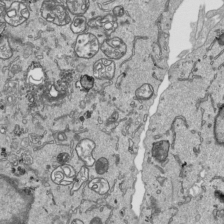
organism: Human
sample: Mitochondria in HCT116 cells